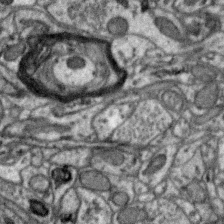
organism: Zebra finch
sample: Brain